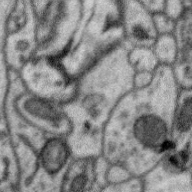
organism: Zebra finch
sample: Brain